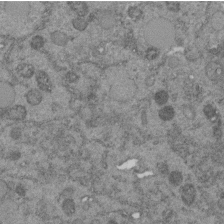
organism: C. elegans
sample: C. elegans embryo early stage